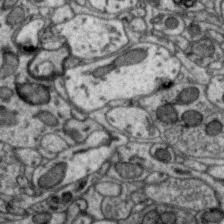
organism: Zebra finch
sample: Brain